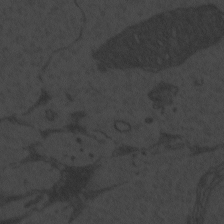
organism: Zebrafish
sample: Macrophage infected with Toxoplasma gondii